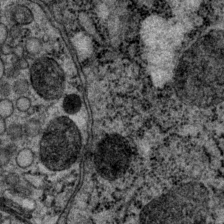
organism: P. pacificus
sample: Pharynx